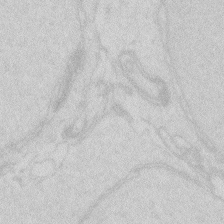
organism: Zebrafish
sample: Macrophage